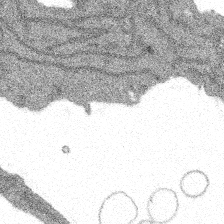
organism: Spongilla lacustris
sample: Multiple